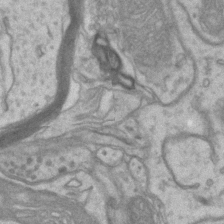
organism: Mouse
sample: CA1 Hippocampus